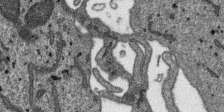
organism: Human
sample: Lung epithelial cells infected with SARS-CoV-2